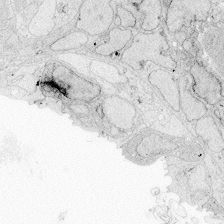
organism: Zebrafish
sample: Whole-Brain